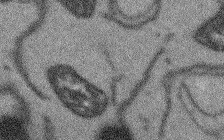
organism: Arabidopsis thaliana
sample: Root tip